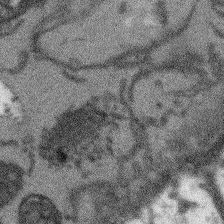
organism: Arabidopsis thaliana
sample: Root tip